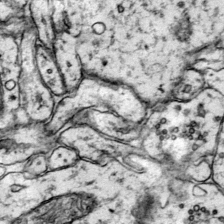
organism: Mouse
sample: Primary visual cortex